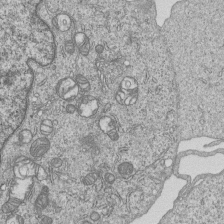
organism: Human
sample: MDA-MB-231 cells